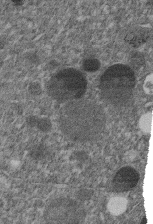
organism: C. elegans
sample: C. elegans embryo early stage